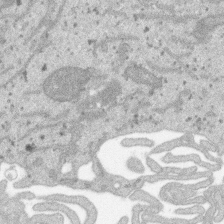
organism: Human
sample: Lung epithelial cells infected with SARS-CoV-2